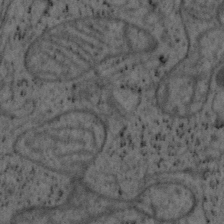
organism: Human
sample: HeLa cells